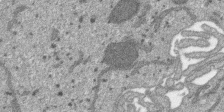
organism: Human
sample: Lung epithelial cells infected with SARS-CoV-2